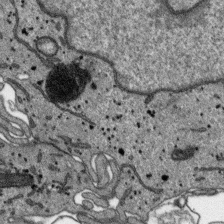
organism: Human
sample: Lung epithelial cells, uninfected (mock) control